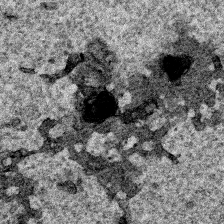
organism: Human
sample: Mitochondria in HCT116 cells